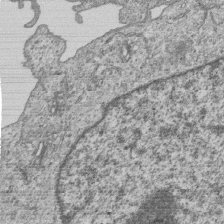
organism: Human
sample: MDA-MB-231 cells